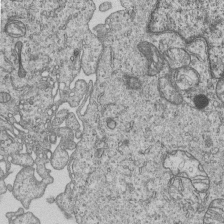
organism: Human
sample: MDA-MB-231 cells